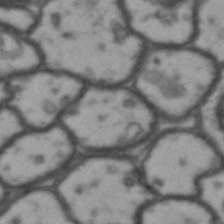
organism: Drosophila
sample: Brain